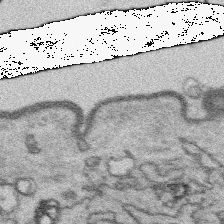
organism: Platynereis dumerilii